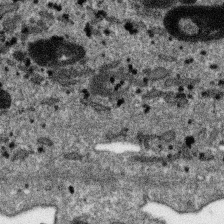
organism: Human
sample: Lung epithelial cells infected with SARS-CoV-2